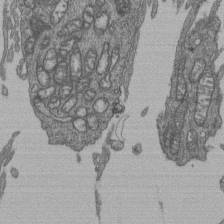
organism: Human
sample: Retinal organoid Rod and Cone cells